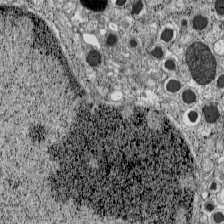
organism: C57BL Mouse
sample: Pancreatic islet